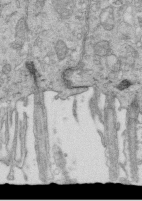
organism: Mouse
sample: Multiciliated cells